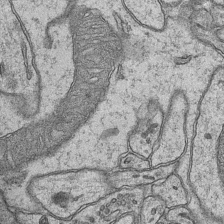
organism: Mouse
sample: CA1 Hippocampus